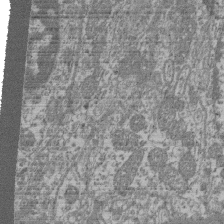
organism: Mouse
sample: Glomerulus